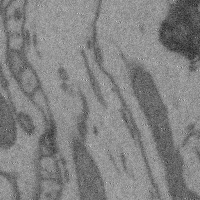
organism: Mouse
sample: Cerebral cortex